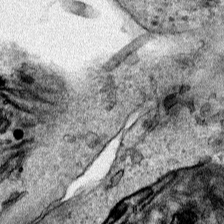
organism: Human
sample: Mitochondria in HCT116 cells